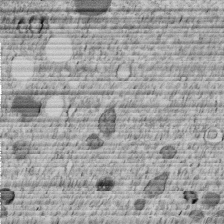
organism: C. elegans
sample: C. elegans embryo early stage